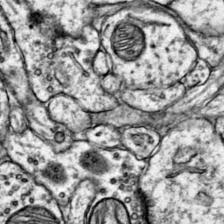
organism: Mouse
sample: Primary visual cortex